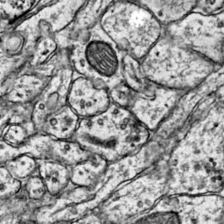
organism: Mouse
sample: Primary visual cortex